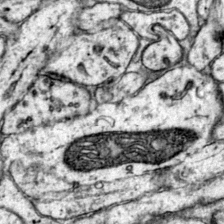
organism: Mouse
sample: Primary visual cortex